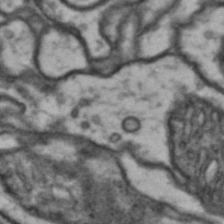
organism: Drosophila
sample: Brain